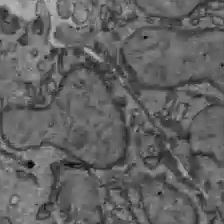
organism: C57BL Mouse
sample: Liver